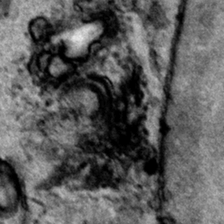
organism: Human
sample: Mitochondria in HCT116 cells